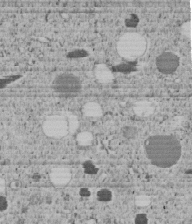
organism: C. elegans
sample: C. elegans embryo early stage